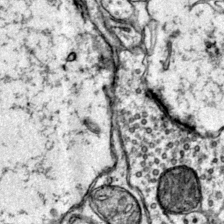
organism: Mouse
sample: Primary visual cortex